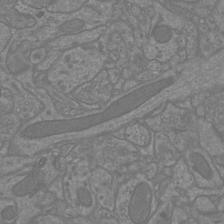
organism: Mouse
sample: Cortical neurons